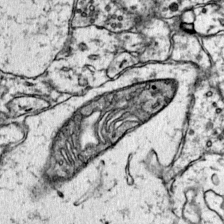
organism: Mouse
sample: Primary visual cortex